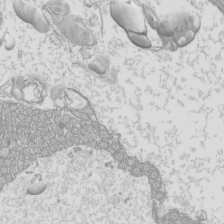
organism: Mouse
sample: Cilia; mouse epididymis